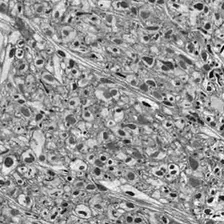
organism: Drosophila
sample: Optic lobe